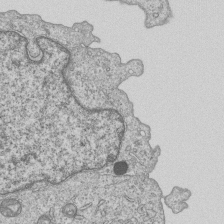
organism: Human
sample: MDA-MB-231 cells